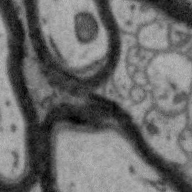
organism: Zebra finch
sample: Brain